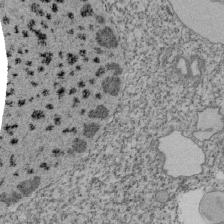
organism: Tetrahymena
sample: Cilia in tetrahymena